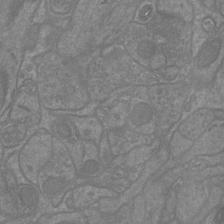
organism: Mouse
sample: Cortical neurons